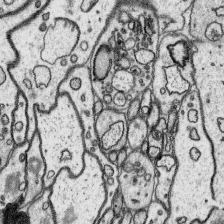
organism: Platynereis dumerilii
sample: Parapodia